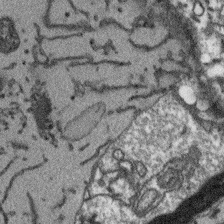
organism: Arabidopsis thaliana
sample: Root tip